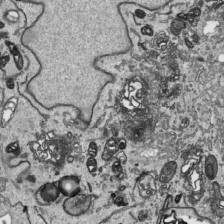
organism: Human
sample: Mitochondria in HCT116 cells